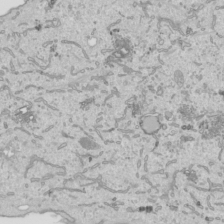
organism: Human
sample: Mitochondria in HCT116 cells